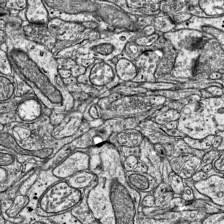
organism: Mouse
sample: Visual Cortex